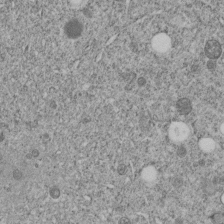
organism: C. elegans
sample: C. elegans embryo early stage